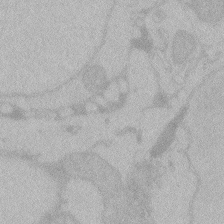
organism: Zebrafish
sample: Macrophage infected with Toxoplasma gondii